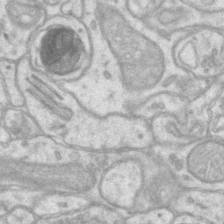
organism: Mouse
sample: CA1 Hippocampus